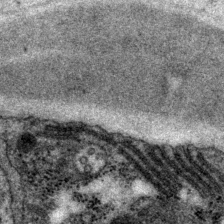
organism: P. pacificus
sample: Pharynx